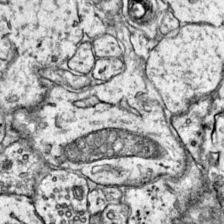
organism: Mouse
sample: Primary visual cortex